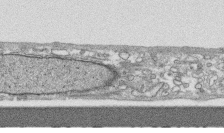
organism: Human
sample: CRL-1474